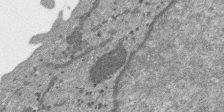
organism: Human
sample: Lung epithelial cells infected with SARS-CoV-2